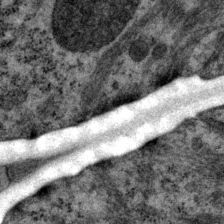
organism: P. pacificus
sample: Pharynx